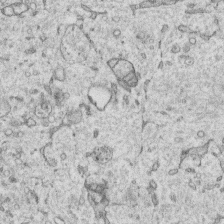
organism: Human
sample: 1205lu cells